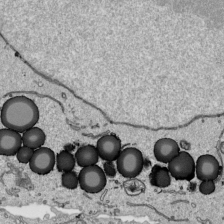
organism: Human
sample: Mitochondria in HCT116 cells